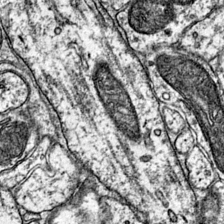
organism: Mouse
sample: Primary visual cortex